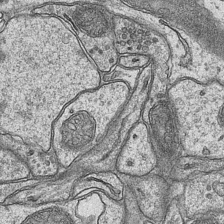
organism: Mouse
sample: CA1 Hippocampus